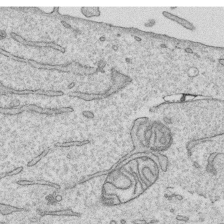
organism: Human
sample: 1205lu cells